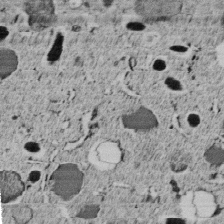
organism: C. elegans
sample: C. elegans embryo early stage